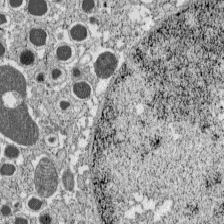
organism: C57BL Mouse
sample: Pancreatic islet